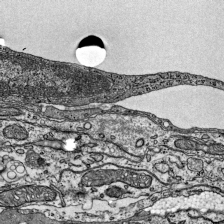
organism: Mouse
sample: Visual Cortex